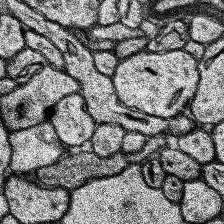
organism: Human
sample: Temporal Lobe